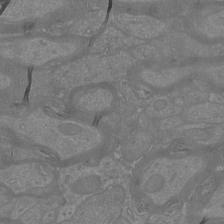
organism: Mouse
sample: Cortical neurons